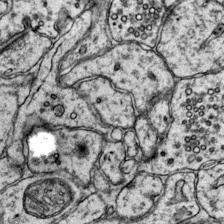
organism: Mouse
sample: Primary visual cortex